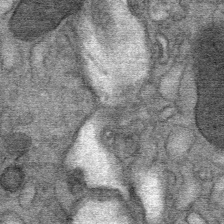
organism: Mouse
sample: Mouse Salivary gland